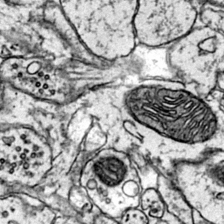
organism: Mouse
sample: Primary visual cortex